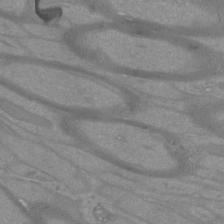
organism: Mouse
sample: Cortical neurons